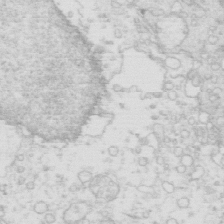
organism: Mouse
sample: Multiciliated cells